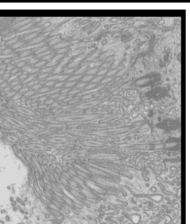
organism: Mouse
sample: Cilia; mouse epididymis